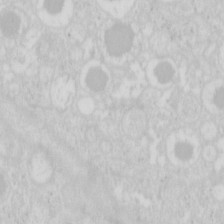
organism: Mouse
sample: Pancreas